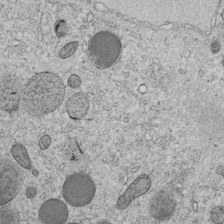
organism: C. elegans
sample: C. elegans embryo early stage